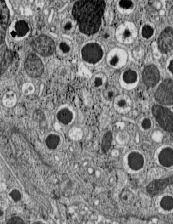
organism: C57BL Mouse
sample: Pancreatic islet